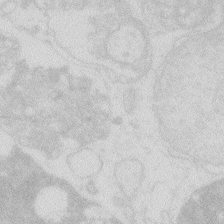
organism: Zebrafish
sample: Macrophage